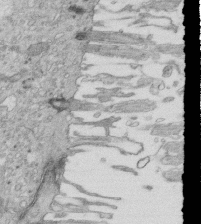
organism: Mouse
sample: Multiciliated cells